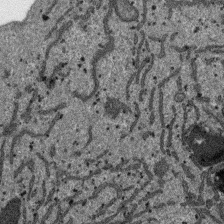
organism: Human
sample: Lung epithelial cells infected with SARS-CoV-2